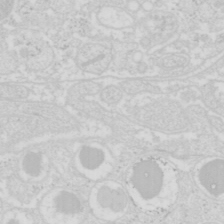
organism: Mouse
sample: Pancreas